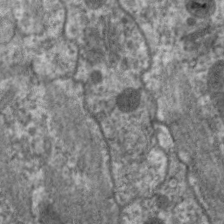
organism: C. elegans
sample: Pharynx